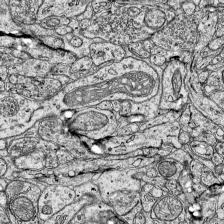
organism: Mouse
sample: Visual Cortex